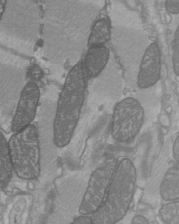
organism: C57BL Mouse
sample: Heart